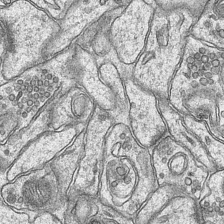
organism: Mouse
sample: CA1 Hippocampus